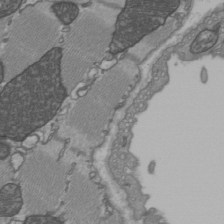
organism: C57BL Mouse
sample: Heart